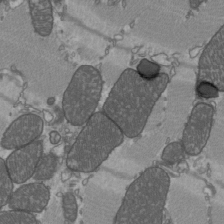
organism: C57BL Mouse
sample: Heart